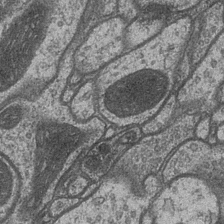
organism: Drosophila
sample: Optic medulla